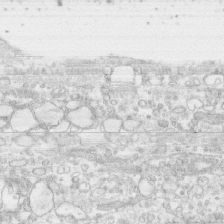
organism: Human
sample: CRL-1474